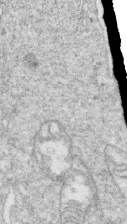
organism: Human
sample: HeLa cell HIV synapse